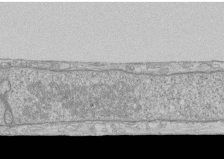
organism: Human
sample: CRL-1474